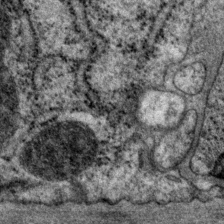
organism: P. pacificus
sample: Pharynx